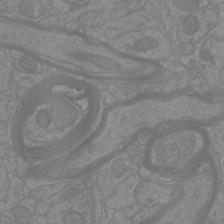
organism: Mouse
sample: Cortical neurons